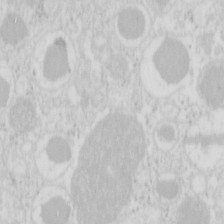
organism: Mouse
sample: Pancreas